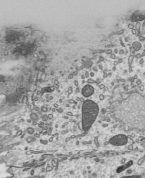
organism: Mouse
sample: Mouse epididymis efferent ductule cilia